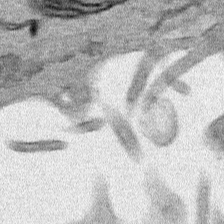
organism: Human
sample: Mitochondria in HCT116 cells